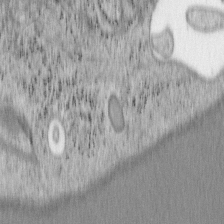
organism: Human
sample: HeLa cells